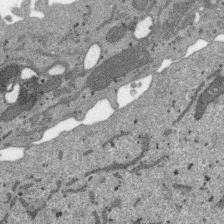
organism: Human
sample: Lung epithelial cells infected with SARS-CoV-2